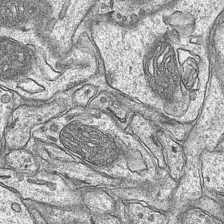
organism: Mouse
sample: CA1 Hippocampus